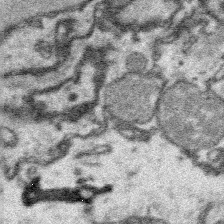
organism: Platynereis dumerilii